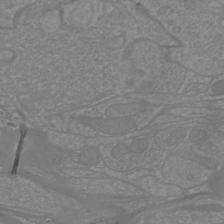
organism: Mouse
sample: Cortical neurons